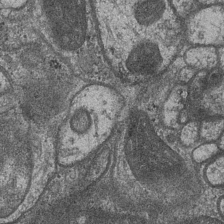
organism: Drosophila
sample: Optic medulla